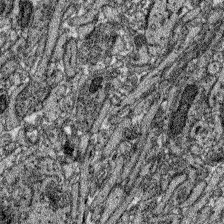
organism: Zebrafish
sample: Larval olfactory bulb